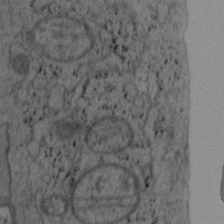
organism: Human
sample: HeLa cells